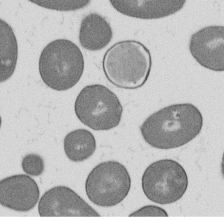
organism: B. subtilis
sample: Bacterial spore